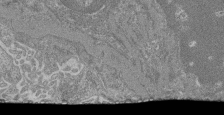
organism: Mouse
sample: Glomerulus